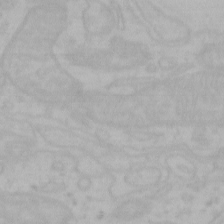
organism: Mouse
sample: Choroid plexus